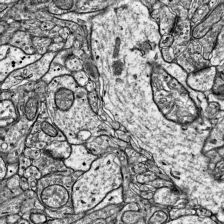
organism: Mouse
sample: Visual Cortex